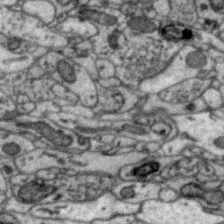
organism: Zebra finch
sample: Brain